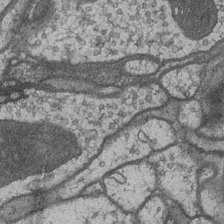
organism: Drosophila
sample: Optic medulla